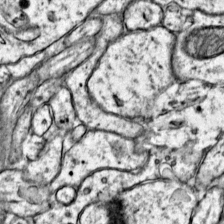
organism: Mouse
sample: Primary visual cortex